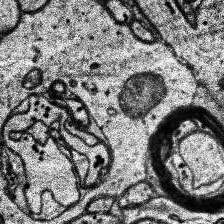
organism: Human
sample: Temporal Lobe